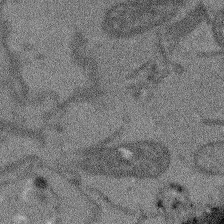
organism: Arabidopsis thaliana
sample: Root tip